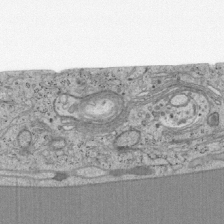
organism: Human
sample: HeLa cells